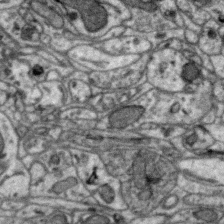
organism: Zebra finch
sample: Brain